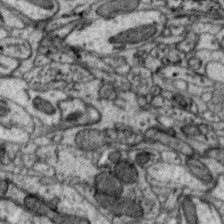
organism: Zebra finch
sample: Brain